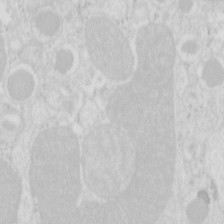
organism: Mouse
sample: Pancreas